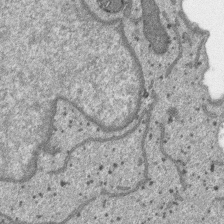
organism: Human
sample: Lung epithelial cells infected with SARS-CoV-2